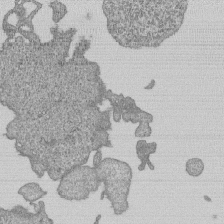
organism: Human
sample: MDA-MB-231 cells